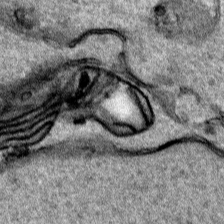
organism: Human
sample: Mitochondria in HCT116 cells